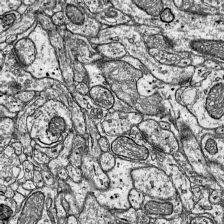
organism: Mouse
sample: Visual Cortex